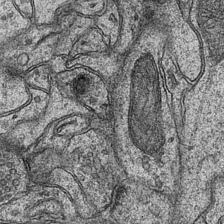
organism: Mouse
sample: CA1 Hippocampus